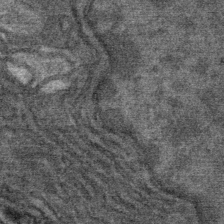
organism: Mouse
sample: Mouse Salivary gland